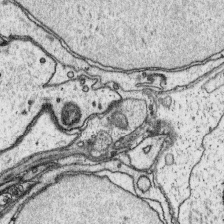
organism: Platynereis dumerilii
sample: Parapodia